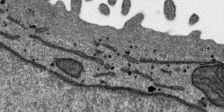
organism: Human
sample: Lung epithelial cells, uninfected (mock) control